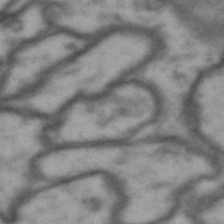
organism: Drosophila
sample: Brain